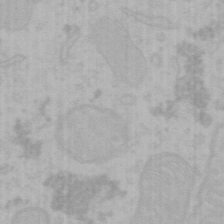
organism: Mouse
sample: Choroid plexus